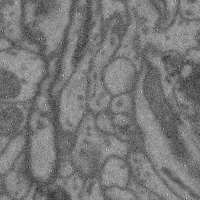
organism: Mouse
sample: Cerebral cortex